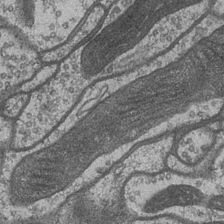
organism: Drosophila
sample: Optic medulla